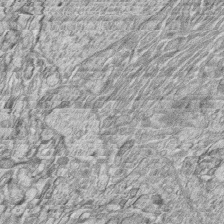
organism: Zebrafish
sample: synaptic ribbons in rod cells and cone cells